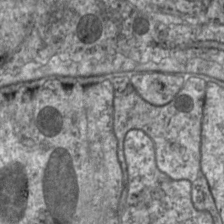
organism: C. elegans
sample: Pharynx